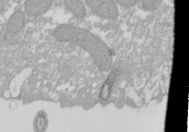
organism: Xenopus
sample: Cilia; centrioles in frog embryo cells